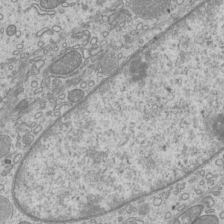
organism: Mouse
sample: Cilia; mouse epididymis